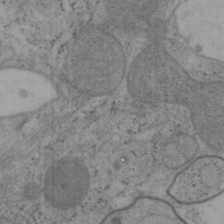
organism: Mouse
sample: OT-I killer T cells with ID8 ovarian cancer cells